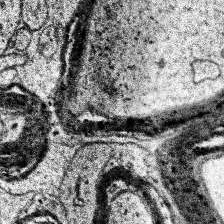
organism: Human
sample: Temporal Lobe